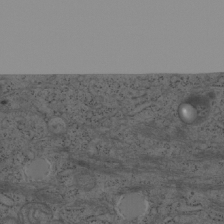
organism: Human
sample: HeLa cells